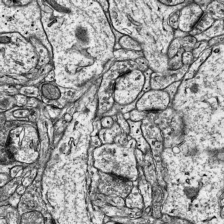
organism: Mouse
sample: Visual Cortex